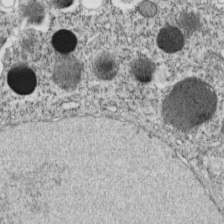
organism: C. elegans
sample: C. elegans embryo early stage